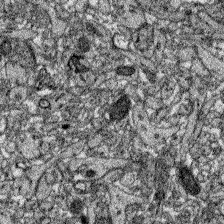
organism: Zebrafish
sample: Larval olfactory bulb